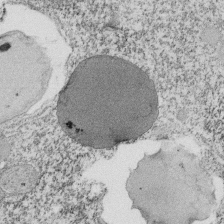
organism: Tetrahymena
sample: Cilia in tetrahymena